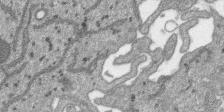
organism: Human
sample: Lung epithelial cells infected with SARS-CoV-2